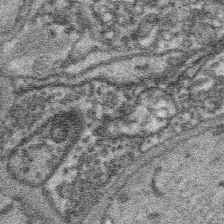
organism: Platynereis dumerilii